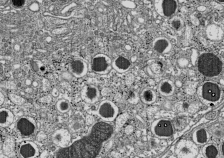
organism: C57BL Mouse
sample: Pancreatic islet